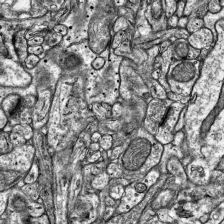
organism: Mouse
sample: Visual Cortex